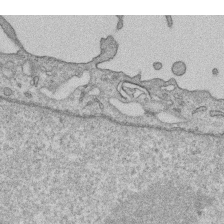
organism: Human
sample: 1205lu cells